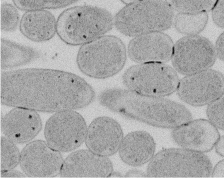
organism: E. coli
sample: Bacterial nucleoid